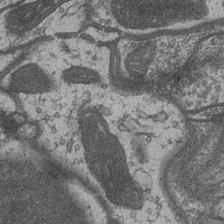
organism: Drosophila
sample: Optic medulla